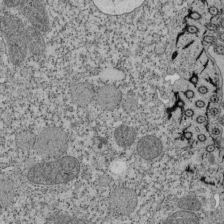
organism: Tetrahymena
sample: Cilia in tetrahymena